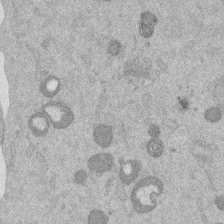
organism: Mouse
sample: Dividing mouse embryo 1 cell stage